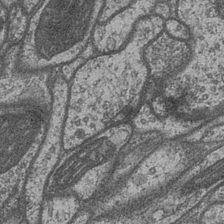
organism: Drosophila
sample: Optic medulla